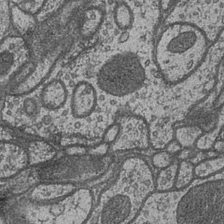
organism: Drosophila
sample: Optic medulla